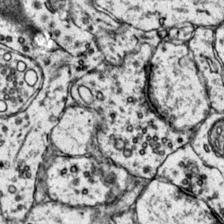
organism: Mouse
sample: Primary visual cortex